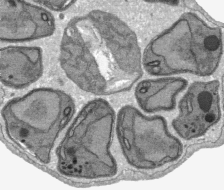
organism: Plasmodium falciparum